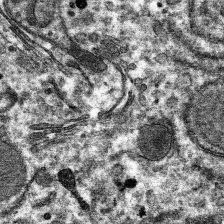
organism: Mouse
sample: Mouse hepatocytes